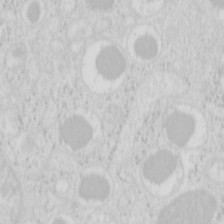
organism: Mouse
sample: Pancreas